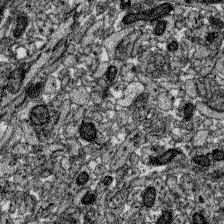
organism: Zebrafish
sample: Larval olfactory bulb